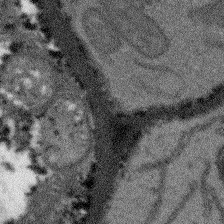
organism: Arabidopsis thaliana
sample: Root tip